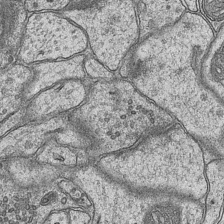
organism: Mouse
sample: CA1 Hippocampus